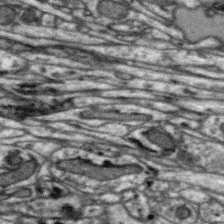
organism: Zebra finch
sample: Brain